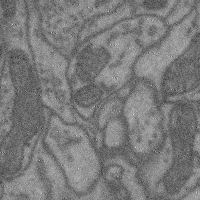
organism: Mouse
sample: Cerebral cortex